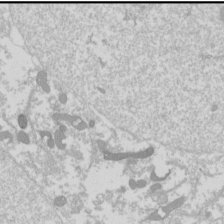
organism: Drosophila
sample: Cell division; meiosis; drosophila spermatocytes